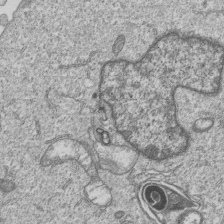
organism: Human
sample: MDA-MB-231 cells